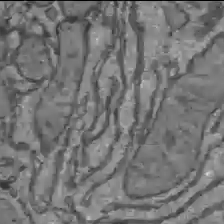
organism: C57BL Mouse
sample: Liver